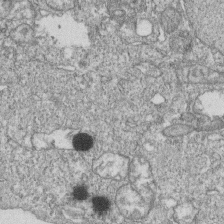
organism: Human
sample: HeLa cell HIV synapse